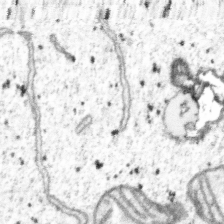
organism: Human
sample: HeLa cells